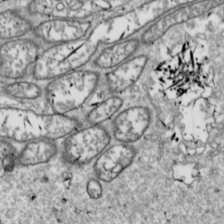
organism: Drosophila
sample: Cell division; meiosis; drosophila spermatocytes